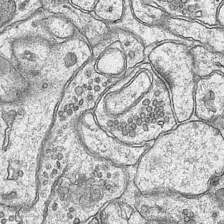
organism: Mouse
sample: CA1 Hippocampus